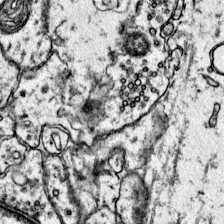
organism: Mouse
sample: Primary visual cortex